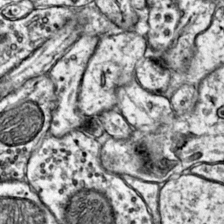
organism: Mouse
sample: Primary visual cortex